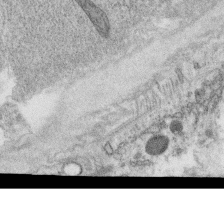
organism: C. elegans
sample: C. elegans oocyte; sperm cells